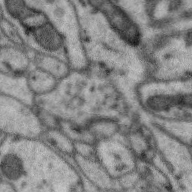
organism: Zebra finch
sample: Brain